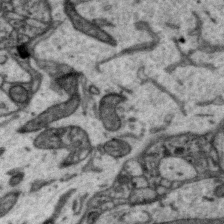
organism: Zebra finch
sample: Brain